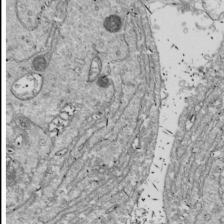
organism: Drosophila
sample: Cell division; meiosis; drosophila spermatocytes